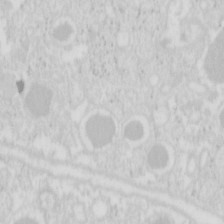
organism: Mouse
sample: Pancreas